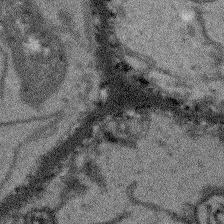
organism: Arabidopsis thaliana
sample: Root tip